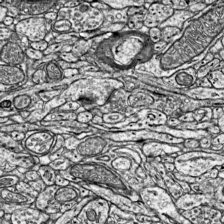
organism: Mouse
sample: Visual Cortex